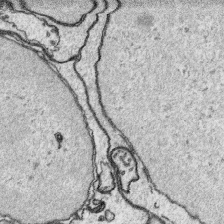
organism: Platynereis dumerilii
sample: Parapodia